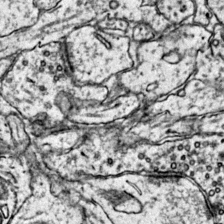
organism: Mouse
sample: Primary visual cortex